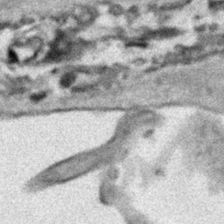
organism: Human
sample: Mitochondria in HCT116 cells